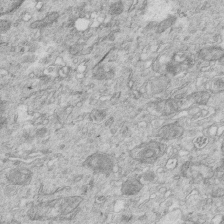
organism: Mouse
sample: Multiciliated cells